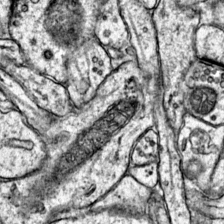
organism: Mouse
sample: Primary visual cortex